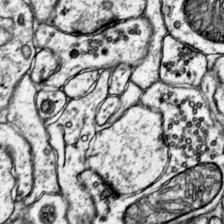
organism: Mouse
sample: Primary visual cortex